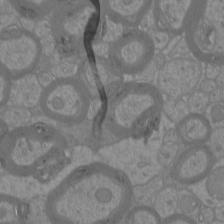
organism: Mouse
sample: Cortical neurons